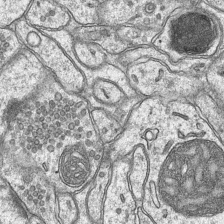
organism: Mouse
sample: CA1 Hippocampus